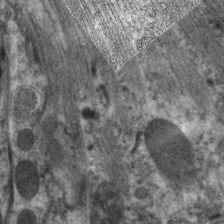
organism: C. elegans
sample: Pharynx